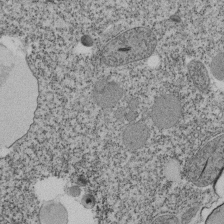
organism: Tetrahymena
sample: Cilia in tetrahymena